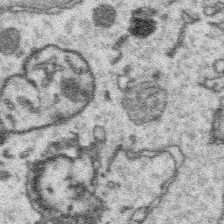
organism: Platynereis dumerilii